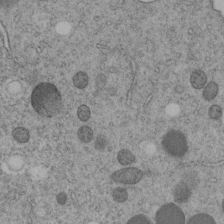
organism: C. elegans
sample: C. elegans embryo early stage